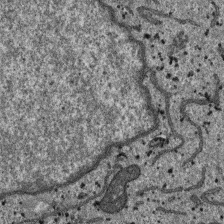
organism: Human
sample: Lung epithelial cells infected with SARS-CoV-2